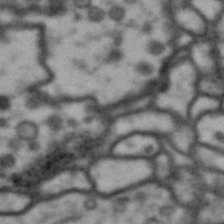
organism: Drosophila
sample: Brain